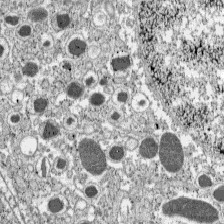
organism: C57BL Mouse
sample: Pancreatic islet